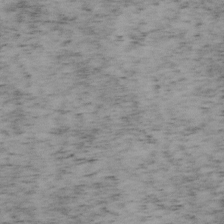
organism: Mouse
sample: OT-I killer T cells with ID8 ovarian cancer cells